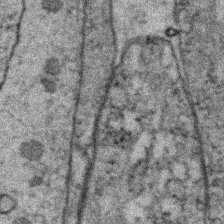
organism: Zebrafish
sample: Zebrafish embryo